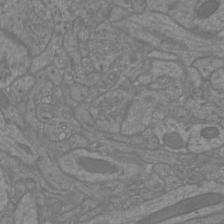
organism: Mouse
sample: Cortical neurons